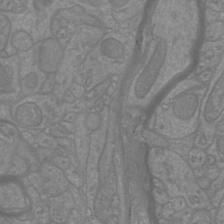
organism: Mouse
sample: Cortical neurons